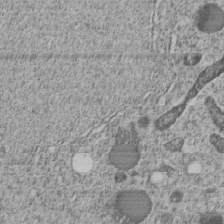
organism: C. elegans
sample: C. elegans embryo early stage